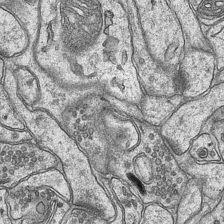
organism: Mouse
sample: CA1 Hippocampus